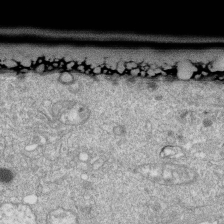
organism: Human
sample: HeLa cell HIV synapse